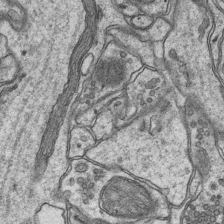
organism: Mouse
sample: CA1 Hippocampus